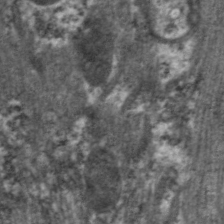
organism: C. elegans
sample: Pharynx